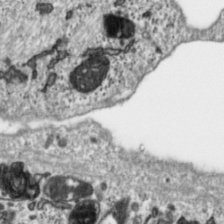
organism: Toxoplasma gondii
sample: Parasites in a vacuole inside a host cell